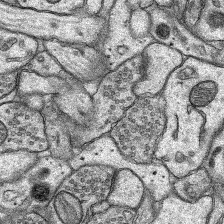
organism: Rat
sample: Hippocampus